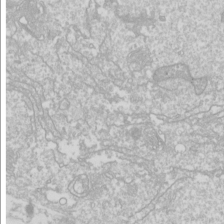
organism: Drosophila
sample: Cell division; meiosis; drosophila spermatocytes